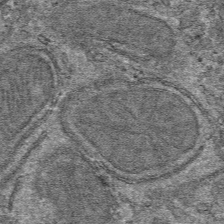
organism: Mouse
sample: Mouse hepatocytes